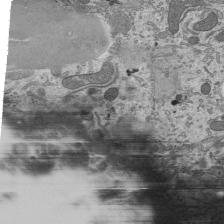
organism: Mouse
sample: Mouse epididymis efferent ductule cilia